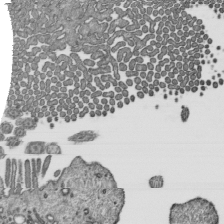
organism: Mouse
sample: Mouse epididymis efferent ductule cilia